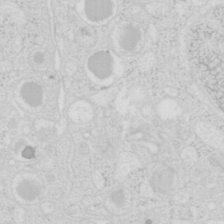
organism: Mouse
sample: Pancreas